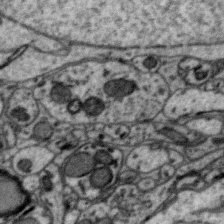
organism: Zebra finch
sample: Brain